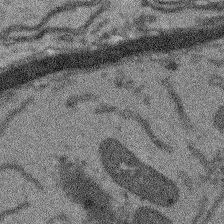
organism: Arabidopsis thaliana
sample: Root tip